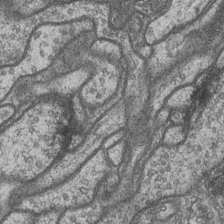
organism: Drosophila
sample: Optic medulla